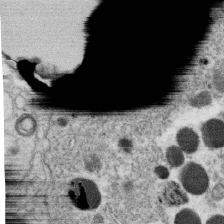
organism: C. elegans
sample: C. elegans oocyte; sperm cells